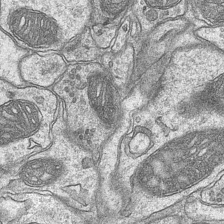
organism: Mouse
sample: CA1 Hippocampus